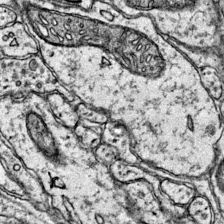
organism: Mouse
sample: Primary visual cortex